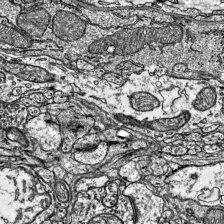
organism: Mouse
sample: Visual Cortex